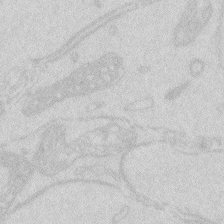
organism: Zebrafish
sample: Macrophage